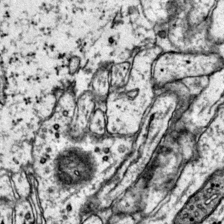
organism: Mouse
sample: Primary visual cortex